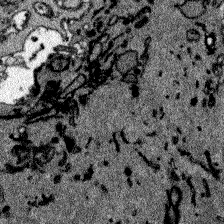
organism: Zebrafish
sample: Larval olfactory bulb